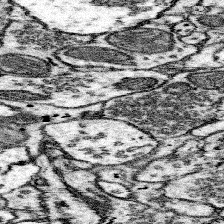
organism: Mouse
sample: Somatosensory cortex neuropil